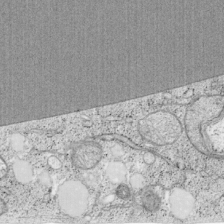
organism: African green monkey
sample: COS-7 cells